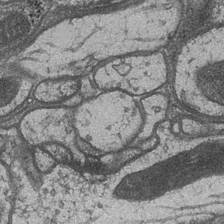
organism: Drosophila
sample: Optic medulla